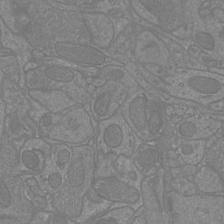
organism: Mouse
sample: Cortical neurons